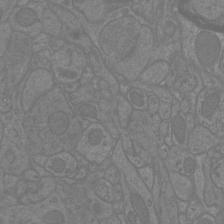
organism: Mouse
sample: Cortical neurons